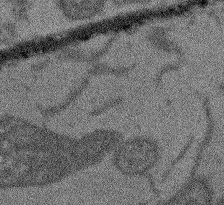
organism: Arabidopsis thaliana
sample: Root tip